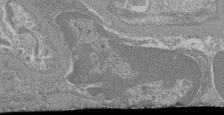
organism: Mouse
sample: Glomerulus